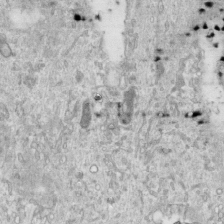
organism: Human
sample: Centriole in RPE cells